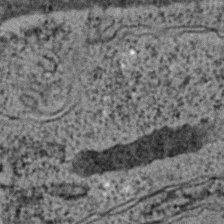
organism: C. elegans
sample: C. elegans embryo